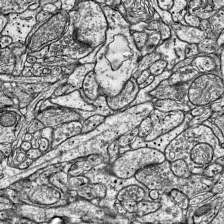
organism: Mouse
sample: Visual Cortex